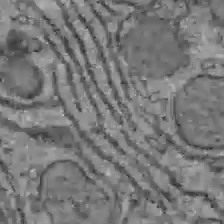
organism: C57BL Mouse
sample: Liver